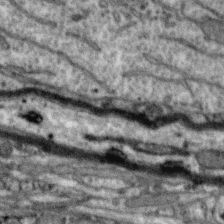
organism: Zebra finch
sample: Brain